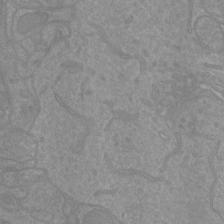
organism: Mouse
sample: Cortical neurons